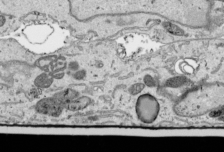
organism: Human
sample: Mitochondria in HCT116 cells